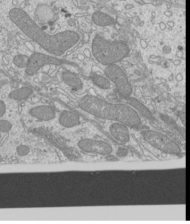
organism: Mouse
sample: Cilia; mouse epididymis